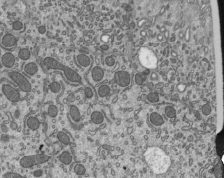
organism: Mouse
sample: Mouse epididymis efferent ductule cilia